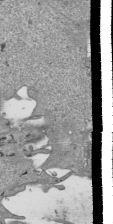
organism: Human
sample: Mitochondria in HCT116 cells